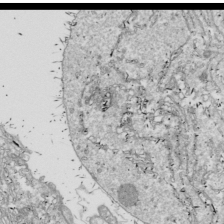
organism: Drosophila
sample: Cell division; meiosis; drosophila spermatocytes